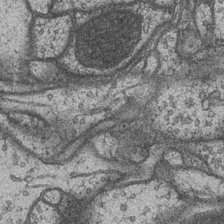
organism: Drosophila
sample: Optic medulla